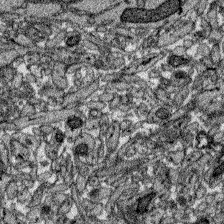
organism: Zebrafish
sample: Larval olfactory bulb